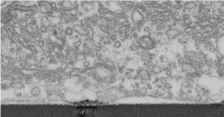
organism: Human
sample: Centriole in fibroblast cells